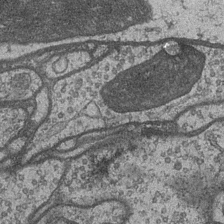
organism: Drosophila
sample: Optic medulla